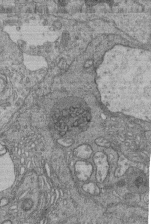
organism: Human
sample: Retinal organoid Rod and Cone cells